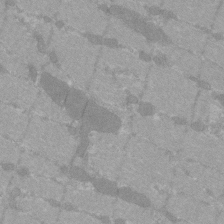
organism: C57BL Mouse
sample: Tibialis anterior muscle cell